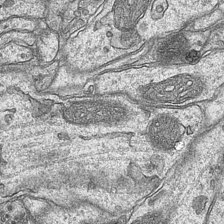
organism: Mouse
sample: CA1 Hippocampus